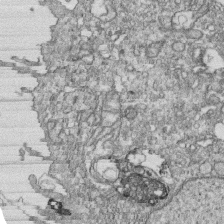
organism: Human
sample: HeLa cell HIV synapse